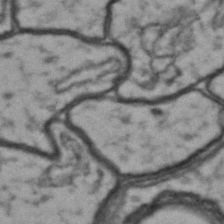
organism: Drosophila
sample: Brain